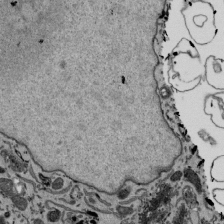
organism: Mouse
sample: ED-1 cell nuclei; centrioles